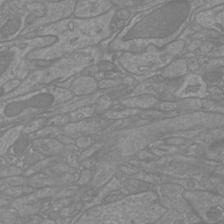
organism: Mouse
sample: Cortical neurons